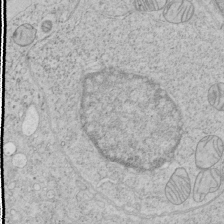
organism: Human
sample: Mitochondria in HCT116 cells